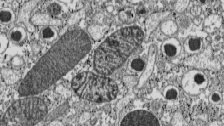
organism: C57BL Mouse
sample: Pancreatic islet